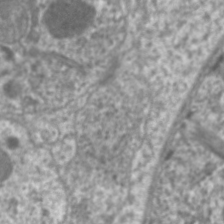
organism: C. elegans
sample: Pharynx